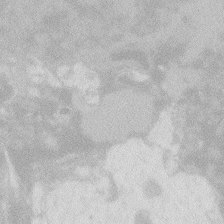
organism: Zebrafish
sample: Macrophage